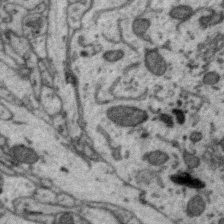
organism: Zebra finch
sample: Brain